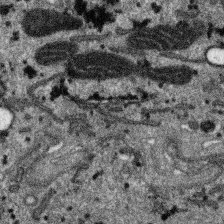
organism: Human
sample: Lung epithelial cells infected with SARS-CoV-2